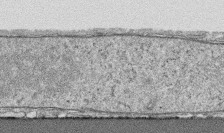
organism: Human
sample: CRL-1474